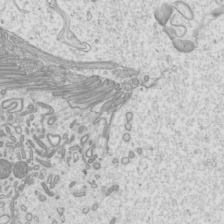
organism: Mouse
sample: Cilia; mouse epididymis